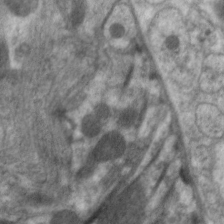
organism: C. elegans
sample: Pharynx